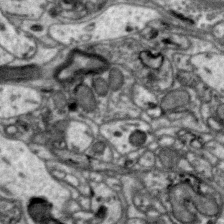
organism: Zebra finch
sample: Brain